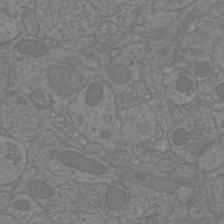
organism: Mouse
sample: Cortical neurons